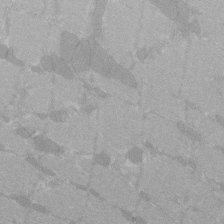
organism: C57BL Mouse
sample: Tibialis anterior muscle cell